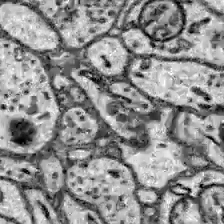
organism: Zebrafish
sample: Brain